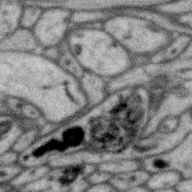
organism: Zebra finch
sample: Brain